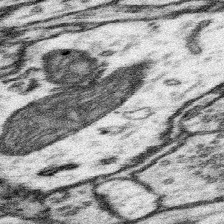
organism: Mouse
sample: Somatosensory cortex neuropil